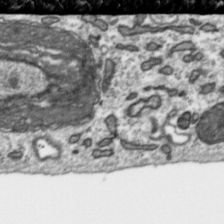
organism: Toxoplasma gondii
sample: Parasites in a vacuole inside a host cell